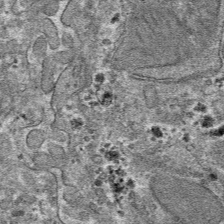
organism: Mouse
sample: Mouse hepatocytes